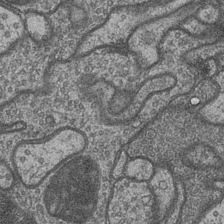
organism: Drosophila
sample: Optic medulla